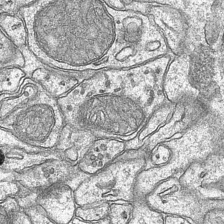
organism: Mouse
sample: CA1 Hippocampus